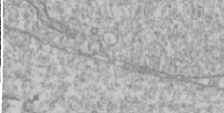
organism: Drosophila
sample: Cell division; meiosis; drosophila spermatocytes